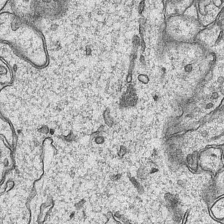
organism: Mouse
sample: CA1 Hippocampus